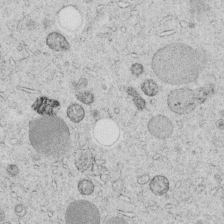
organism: C. elegans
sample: C. elegans embryo early stage